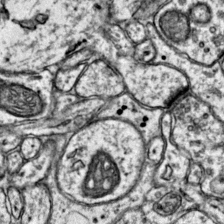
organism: Mouse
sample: Primary visual cortex